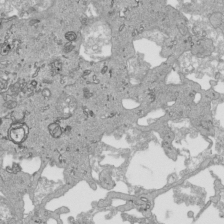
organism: Human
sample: Mitochondria in HCT116 cells